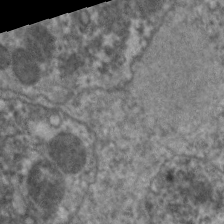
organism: C. elegans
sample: Pharynx